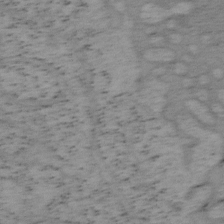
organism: Mouse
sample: OT-I killer T cells with ID8 ovarian cancer cells